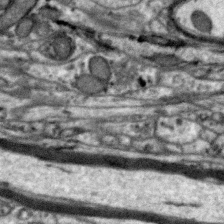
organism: Zebra finch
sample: Brain